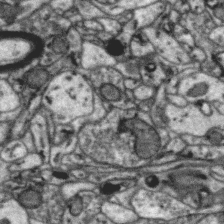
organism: Zebra finch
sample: Brain